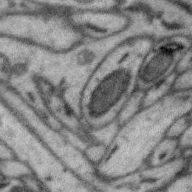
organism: Zebra finch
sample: Brain